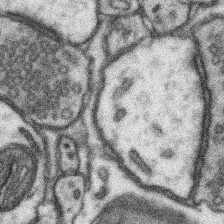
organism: Mouse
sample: Somatosensory cortex neuropil